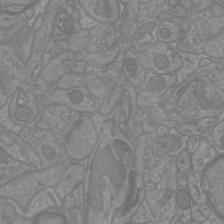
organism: Mouse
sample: Cortical neurons